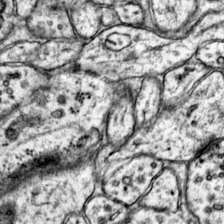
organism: Mouse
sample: Primary visual cortex